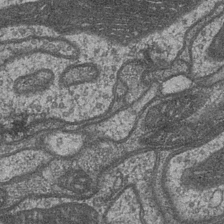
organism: Drosophila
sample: Optic medulla